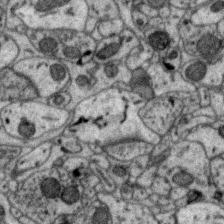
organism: Zebra finch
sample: Brain